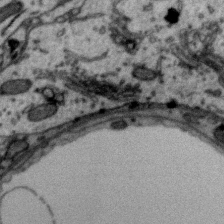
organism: Zebra finch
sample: Brain